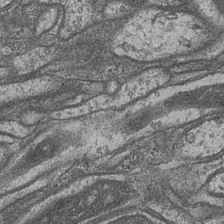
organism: Drosophila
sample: Optic medulla